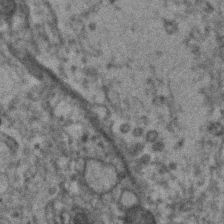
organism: Human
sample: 1205lu cells